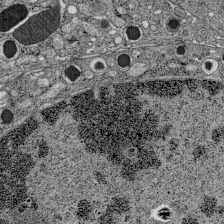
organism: C57BL Mouse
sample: Pancreatic islet